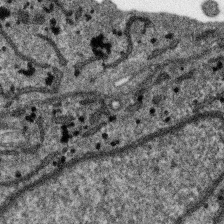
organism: Human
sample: Lung epithelial cells infected with SARS-CoV-2